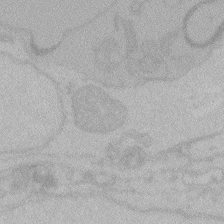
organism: Zebrafish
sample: Macrophage infected with Toxoplasma gondii